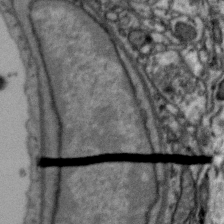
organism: Zebra finch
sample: Brain